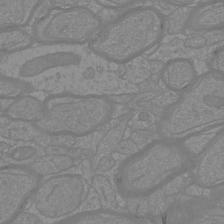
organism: Mouse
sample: Cortical neurons